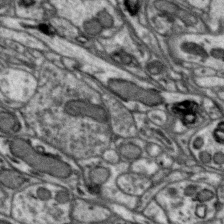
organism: Zebra finch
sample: Brain